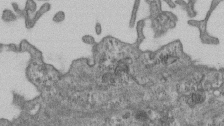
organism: Mouse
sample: Centriole in ependymal cells